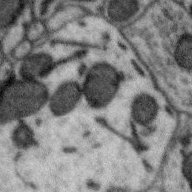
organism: Zebra finch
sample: Brain